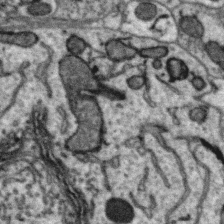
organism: Zebra finch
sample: Brain